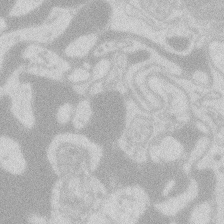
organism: Zebrafish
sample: Macrophage